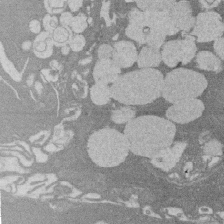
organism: Rat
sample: Salivary granule